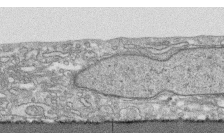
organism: Human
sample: CRL-1474